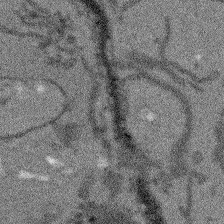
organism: Arabidopsis thaliana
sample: Root tip